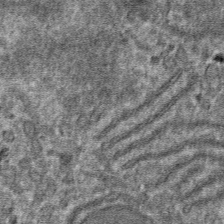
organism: Mouse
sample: Mouse hepatocytes